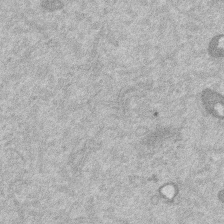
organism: Mouse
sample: Dividing mouse embryo 1 cell stage